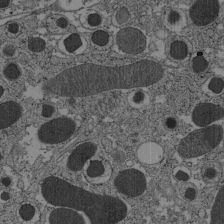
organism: C57BL Mouse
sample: Pancreatic islet